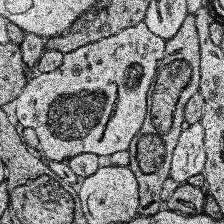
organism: Human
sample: Temporal Lobe